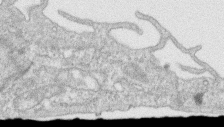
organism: Human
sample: HeLa cell HIV synapse